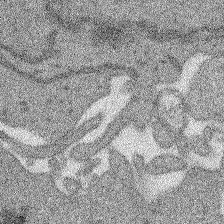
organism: Human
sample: HeLa cells